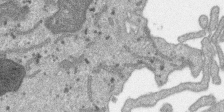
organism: Human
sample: Lung epithelial cells infected with SARS-CoV-2